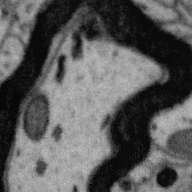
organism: Zebra finch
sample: Brain